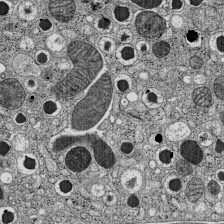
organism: C57BL Mouse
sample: Pancreatic islet